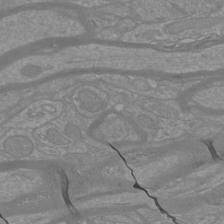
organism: Mouse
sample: Cortical neurons